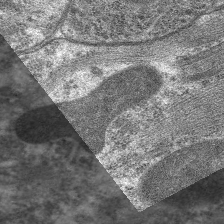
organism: C. elegans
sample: Pharynx